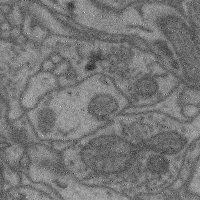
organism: Mouse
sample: Cerebral cortex